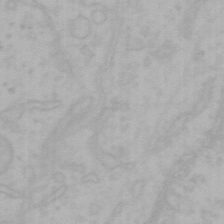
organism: Mouse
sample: Choroid plexus